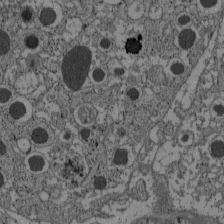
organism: C57BL Mouse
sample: Pancreatic islet